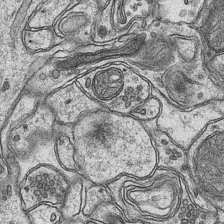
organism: Mouse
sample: CA1 Hippocampus